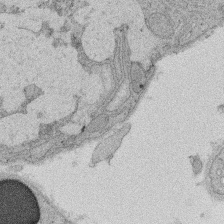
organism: Rat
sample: Salivary granule